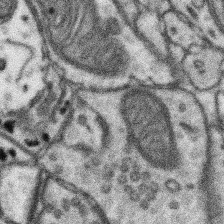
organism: Mouse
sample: Somatosensory cortex neuropil